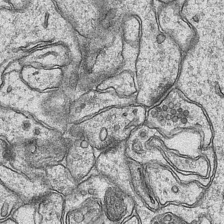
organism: Mouse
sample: CA1 Hippocampus